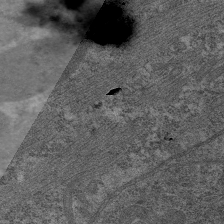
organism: C. elegans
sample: Pharynx